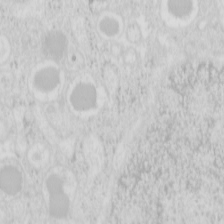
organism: Mouse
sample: Pancreas